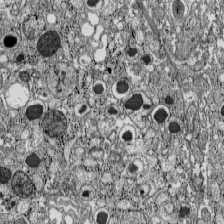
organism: C57BL Mouse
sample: Pancreatic islet